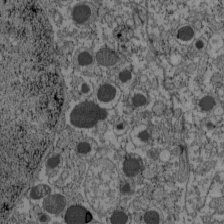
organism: C57BL Mouse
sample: Pancreatic islet